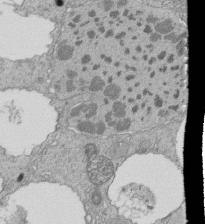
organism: Tetrahymena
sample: Cilia in tetrahymena